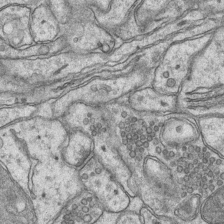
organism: Mouse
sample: CA1 Hippocampus